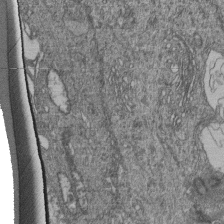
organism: Human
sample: Retinal organoid Rod and Cone cells